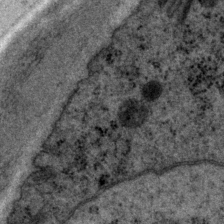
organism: P. pacificus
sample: Pharynx